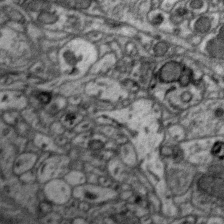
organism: Zebra finch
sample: Brain